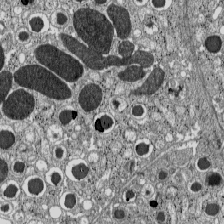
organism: C57BL Mouse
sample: Pancreatic islet